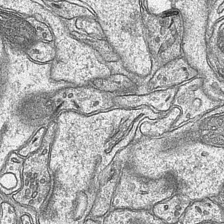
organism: Mouse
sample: CA1 Hippocampus